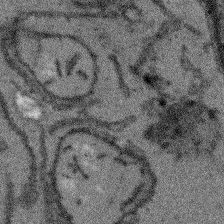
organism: Arabidopsis thaliana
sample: Root tip